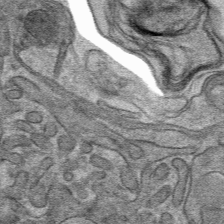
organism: Mouse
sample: Mouse hepatocytes